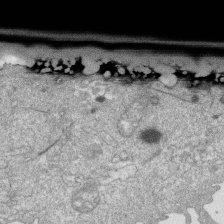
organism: Human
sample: HeLa cell HIV synapse